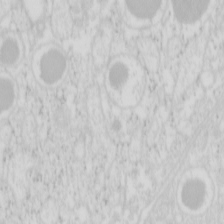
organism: Mouse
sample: Pancreas